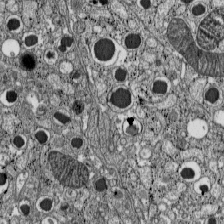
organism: C57BL Mouse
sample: Pancreatic islet